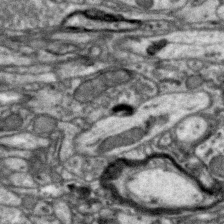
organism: Zebra finch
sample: Brain